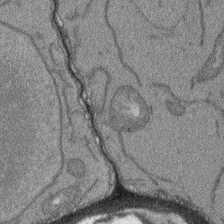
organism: Arabidopsis thaliana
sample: Root tip